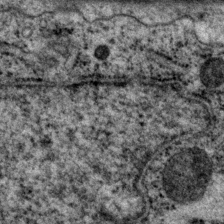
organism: P. pacificus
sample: Pharynx